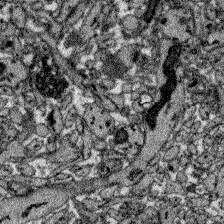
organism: Zebrafish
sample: Larval olfactory bulb